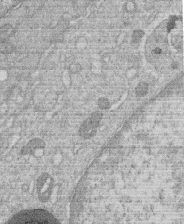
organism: Human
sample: Macrophage cells